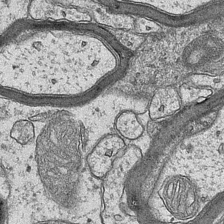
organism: Mouse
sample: CA1 Hippocampus